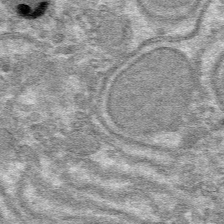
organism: Mouse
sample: Mouse hepatocytes